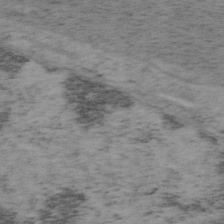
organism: Mouse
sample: OT-I killer T cells with ID8 ovarian cancer cells